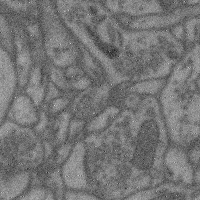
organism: Mouse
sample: Cerebral cortex